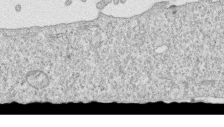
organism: Human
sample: HeLa cell HIV synapse